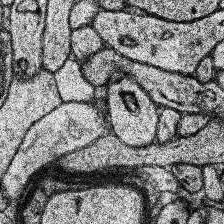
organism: Human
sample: Temporal Lobe